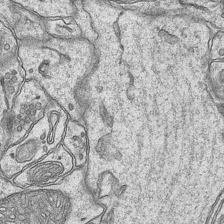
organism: Mouse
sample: CA1 Hippocampus